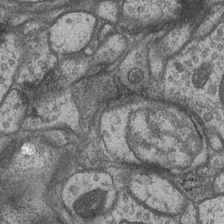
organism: Drosophila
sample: Optic medulla